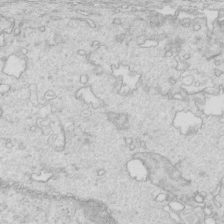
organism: Mouse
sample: Multiciliated cells